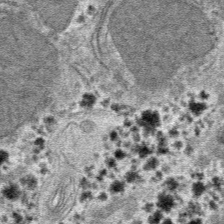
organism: Mouse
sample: Mouse hepatocytes